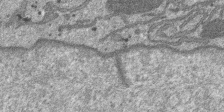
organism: Human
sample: Lung epithelial cells infected with SARS-CoV-2